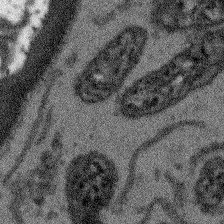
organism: Arabidopsis thaliana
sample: Root tip